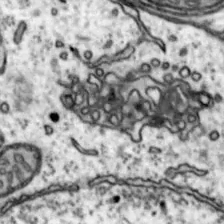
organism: Mouse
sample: Nucleus accumbens